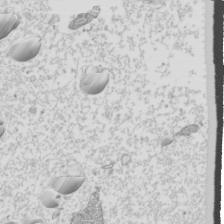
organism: Mouse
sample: Cilia; mouse epididymis